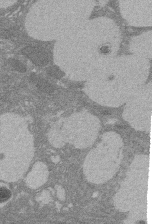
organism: Rat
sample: Salivary granule